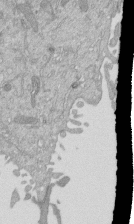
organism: Mouse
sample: ED-1 cell nuclei; centrioles